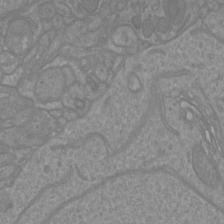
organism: Mouse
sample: Cortical neurons